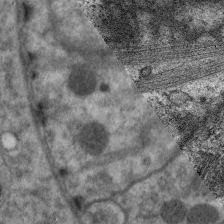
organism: C. elegans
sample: Pharynx